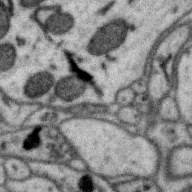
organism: Zebra finch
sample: Brain